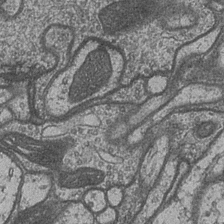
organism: Drosophila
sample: Optic medulla